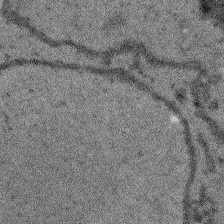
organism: Arabidopsis thaliana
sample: Root tip